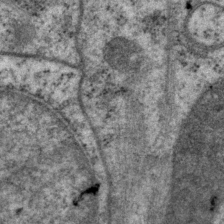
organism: P. pacificus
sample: Pharynx